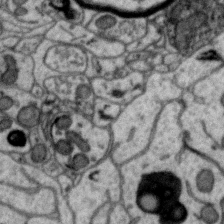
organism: Zebra finch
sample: Brain